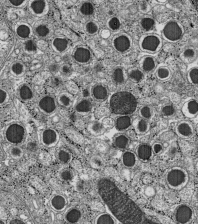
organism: C57BL Mouse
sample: Pancreatic islet